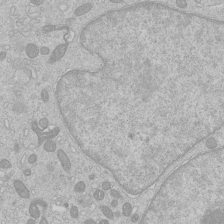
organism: Human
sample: Macrophage cells